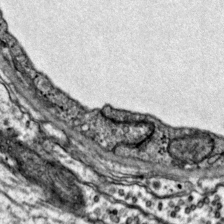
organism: Mouse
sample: Primary visual cortex